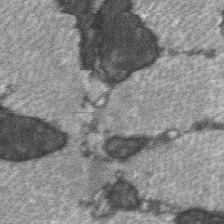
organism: C57BL Mouse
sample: Soleus